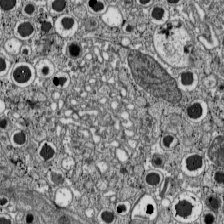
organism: C57BL Mouse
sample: Pancreatic islet